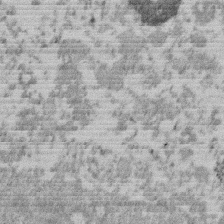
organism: Mouse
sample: Dividing mouse embryo 1 cell stage